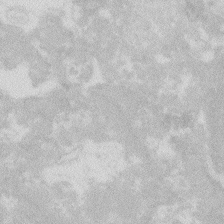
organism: Zebrafish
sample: Macrophage